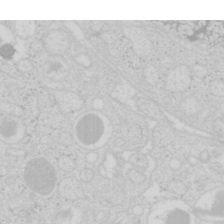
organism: Mouse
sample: Pancreas